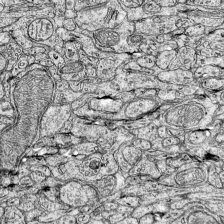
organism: Mouse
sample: Visual Cortex